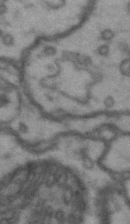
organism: Drosophila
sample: Brain